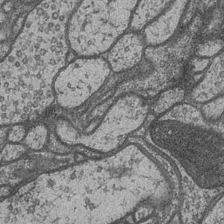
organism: Drosophila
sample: Optic medulla